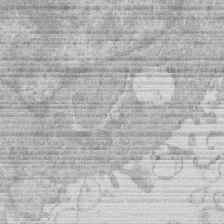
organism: Human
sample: Macrophage cells